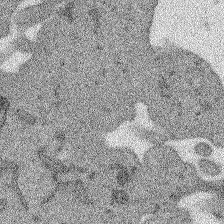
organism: Human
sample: HeLa cells